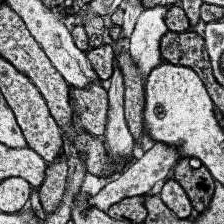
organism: Human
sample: Temporal Lobe